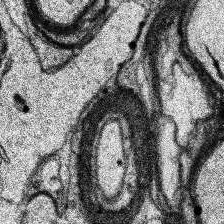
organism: Human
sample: Temporal Lobe